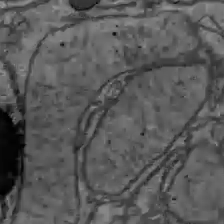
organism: C57BL Mouse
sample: Liver